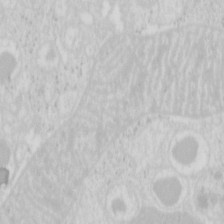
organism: Mouse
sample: Pancreas